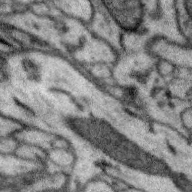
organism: Zebra finch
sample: Brain